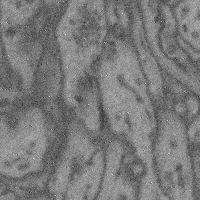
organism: Mouse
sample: Cerebral cortex